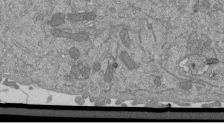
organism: Mouse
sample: ED-1 cell nuclei; centrioles